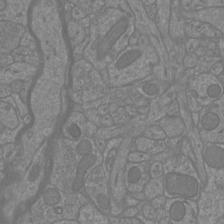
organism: Mouse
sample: Cortical neurons